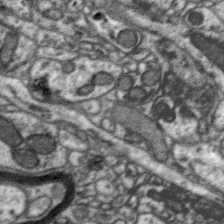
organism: Zebra finch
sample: Brain